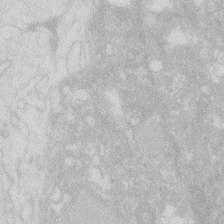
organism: Zebrafish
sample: Macrophage